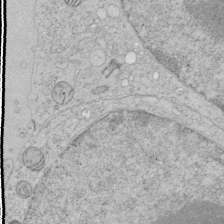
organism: Human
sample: Mitochondria in HCT116 cells